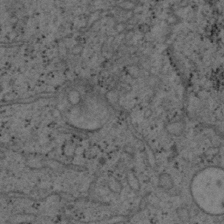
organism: Human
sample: HeLa cells